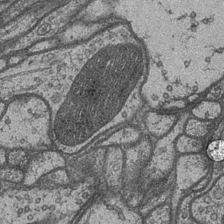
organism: Drosophila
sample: Optic medulla